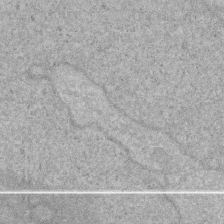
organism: Human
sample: HIV infected U937 cells